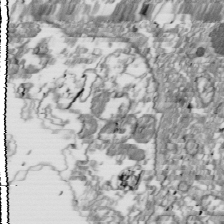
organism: Drosophila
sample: Cell division; meiosis; drosophila spermatocytes